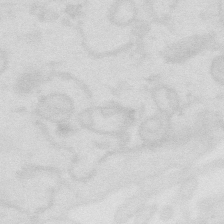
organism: Human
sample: HeLa cells